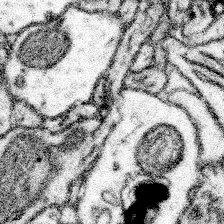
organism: Mouse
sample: Somatosensory cortex neuropil